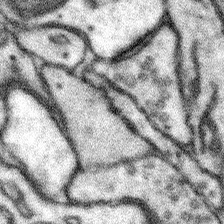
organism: Mouse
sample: Somatosensory cortex neuropil